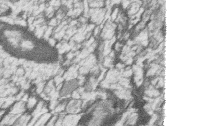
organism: Zebrafish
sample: synaptic ribbons in rod cells and cone cells